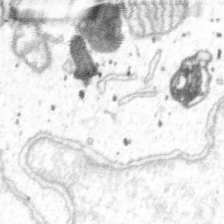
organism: Human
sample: HeLa cells